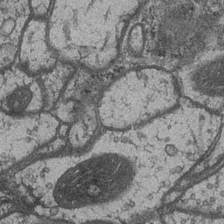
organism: Drosophila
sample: Optic medulla